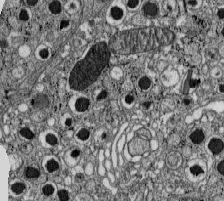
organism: C57BL Mouse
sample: Pancreatic islet